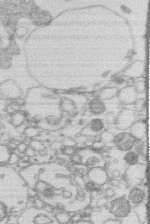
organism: Human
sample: Macrophage cells